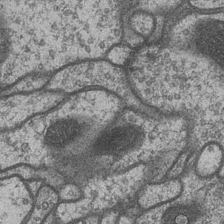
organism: Drosophila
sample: Optic medulla